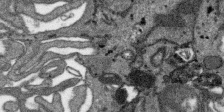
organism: Human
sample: Lung epithelial cells, uninfected (mock) control